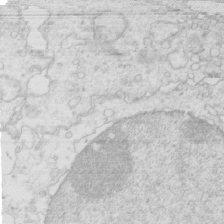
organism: Mouse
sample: Multiciliated cells